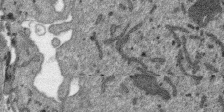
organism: Human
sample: Lung epithelial cells infected with SARS-CoV-2